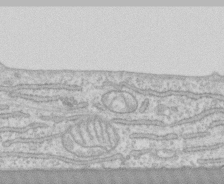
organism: Human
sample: CRL-1474